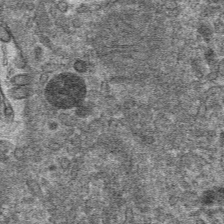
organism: Mouse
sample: Mouse hepatocytes